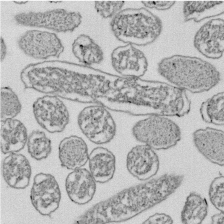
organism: E. coli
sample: Bacterial nucleoid